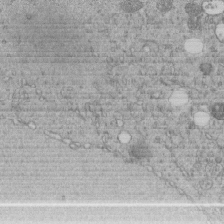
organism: C. elegans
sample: C. elegans embryo early stage